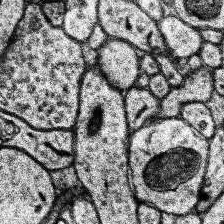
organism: Human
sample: Temporal Lobe